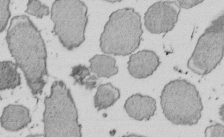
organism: E. coli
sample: Bacterial nucleoid